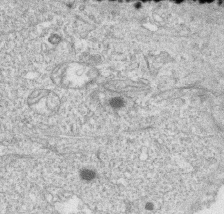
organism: Human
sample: HeLa cell HIV synapse